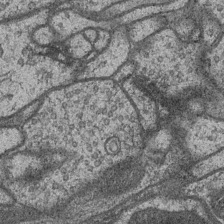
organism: Drosophila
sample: Optic medulla